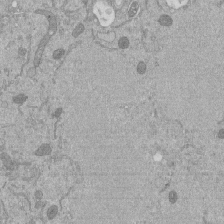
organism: Mouse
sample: ED-1 cell nuclei; centrioles